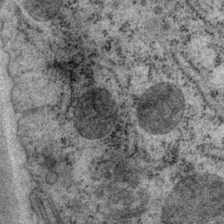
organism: P. pacificus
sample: Pharynx